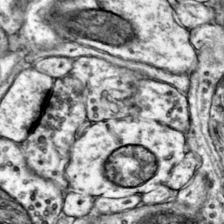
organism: Mouse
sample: Primary visual cortex